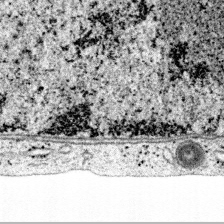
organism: Human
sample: HeLa cells